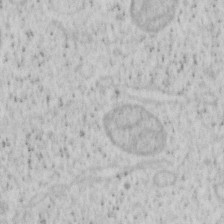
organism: Human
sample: HeLa cells